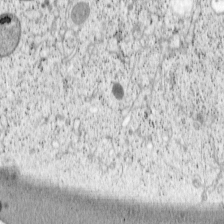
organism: African green monkey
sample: COS-7 cells